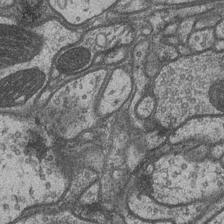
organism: Drosophila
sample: Optic medulla